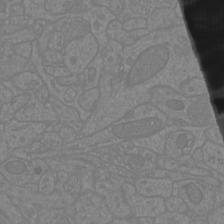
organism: Mouse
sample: Cortical neurons